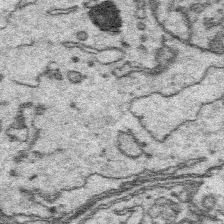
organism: Platynereis dumerilii